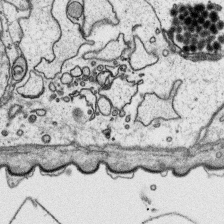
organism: Platynereis dumerilii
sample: Parapodia